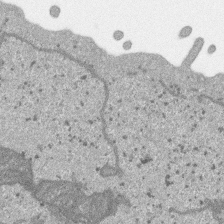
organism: Human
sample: Lung epithelial cells infected with SARS-CoV-2